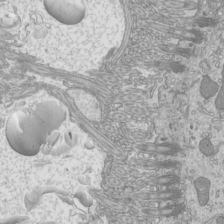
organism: Mouse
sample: Cilia; mouse epididymis